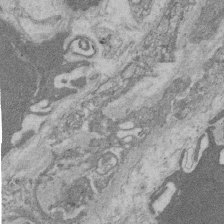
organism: Rat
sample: Salivary granule